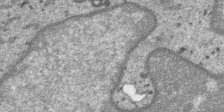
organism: Human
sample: Lung epithelial cells infected with SARS-CoV-2